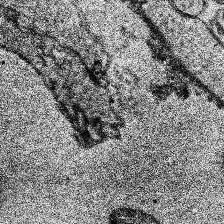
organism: Human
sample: Temporal Lobe